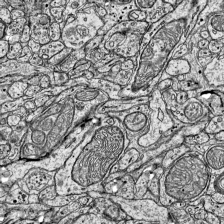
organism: Mouse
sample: Visual Cortex